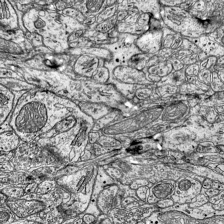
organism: Mouse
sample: Visual Cortex